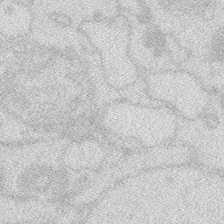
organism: Zebrafish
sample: Macrophage